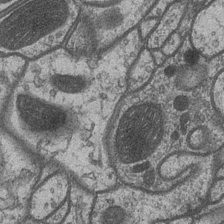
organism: Drosophila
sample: Optic medulla